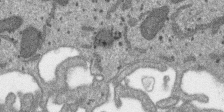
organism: Human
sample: Lung epithelial cells infected with SARS-CoV-2